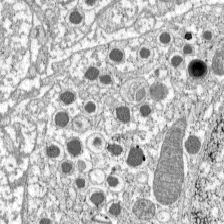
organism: C57BL Mouse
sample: Pancreatic islet